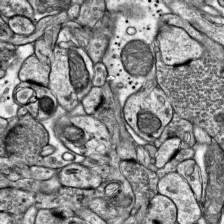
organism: Mouse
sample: Visual Cortex